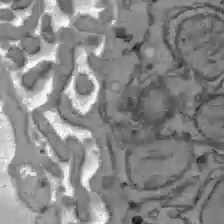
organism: C57BL Mouse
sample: Liver